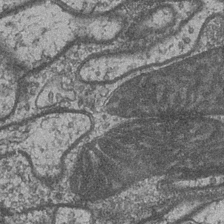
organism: Drosophila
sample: Optic medulla